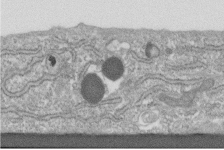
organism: Human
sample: Centriole in fibroblast cells